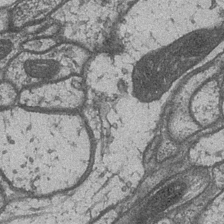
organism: Drosophila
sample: Optic medulla